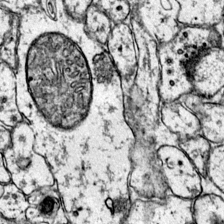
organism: Mouse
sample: Primary visual cortex